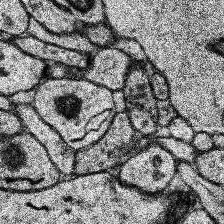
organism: Human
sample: Temporal Lobe